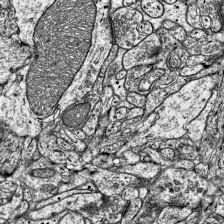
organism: Mouse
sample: Visual Cortex